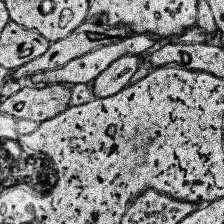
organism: Human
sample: Temporal Lobe